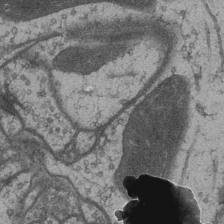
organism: Drosophila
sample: Optic medulla